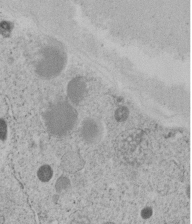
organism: C. elegans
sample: C. elegans embryo early stage